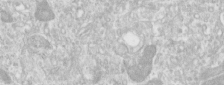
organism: Human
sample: Centriole in RPE cells